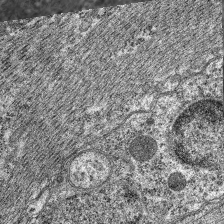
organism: C. elegans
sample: Pharynx